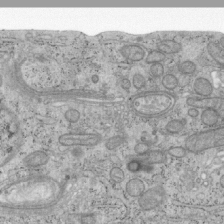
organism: Human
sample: HeLa cells